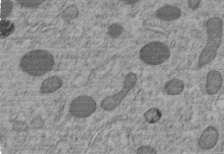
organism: C. elegans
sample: C. elegans embryo early stage